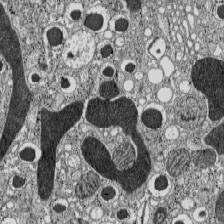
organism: C57BL Mouse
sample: Pancreatic islet